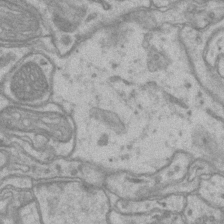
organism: Mouse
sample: CA1 Hippocampus